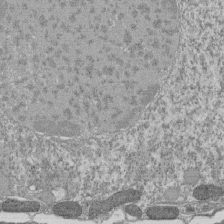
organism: Tetrahymena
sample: Cilia in tetrahymena